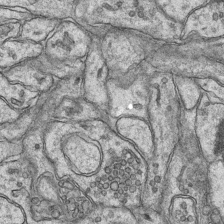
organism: Mouse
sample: CA1 Hippocampus